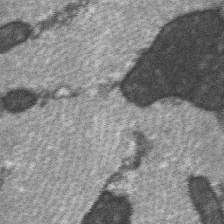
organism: C57BL Mouse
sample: Soleus